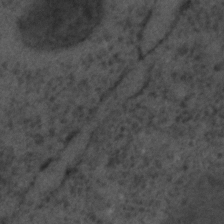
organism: C. elegans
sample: C. elegans embryo